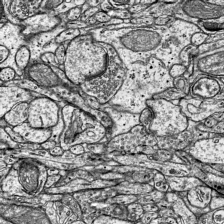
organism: Mouse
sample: Visual Cortex